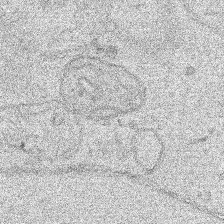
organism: Human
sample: Mitochondria in HCT116 cells